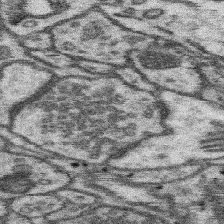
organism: Mouse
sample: Somatosensory cortex neuropil